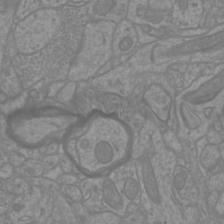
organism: Mouse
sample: Cortical neurons